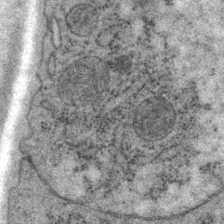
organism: P. pacificus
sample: Pharynx